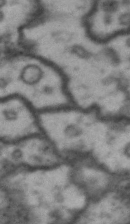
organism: Drosophila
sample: Brain